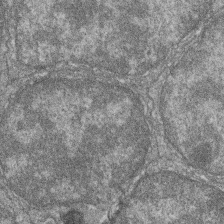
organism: Zebrafish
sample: Cilia; retinal pigment epithelium